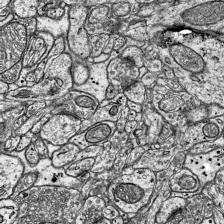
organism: Mouse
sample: Visual Cortex